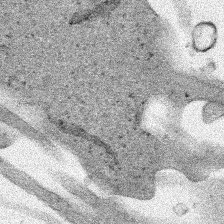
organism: Human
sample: Mitochondria in HCT116 cells